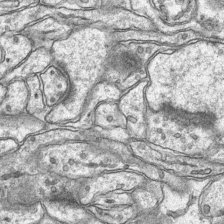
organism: Mouse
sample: CA1 Hippocampus